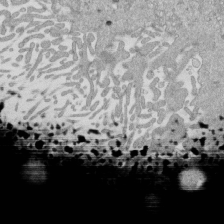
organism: Mouse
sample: ED-1 cell nuclei; centrioles